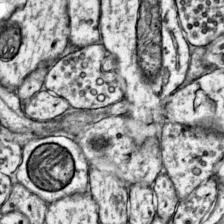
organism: Mouse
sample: Primary visual cortex